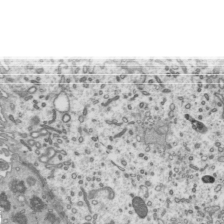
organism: Mouse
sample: Mouse epididymis efferent ductule cilia